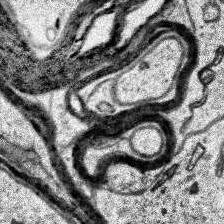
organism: Human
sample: Temporal Lobe